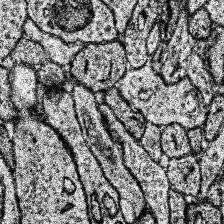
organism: Human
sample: Temporal Lobe